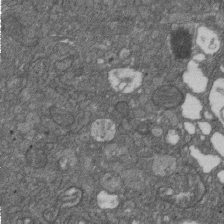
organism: Drosophila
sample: Nephrocyte